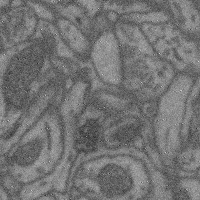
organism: Mouse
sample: Cerebral cortex